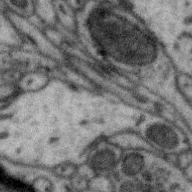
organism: Zebra finch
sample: Brain